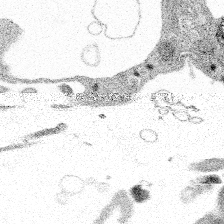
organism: Spongilla lacustris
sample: Multiple